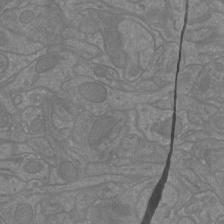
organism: Mouse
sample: Cortical neurons